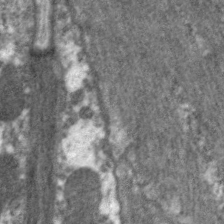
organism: C. elegans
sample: Pharynx